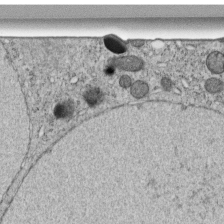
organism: C. elegans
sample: C. elegans embryo early stage